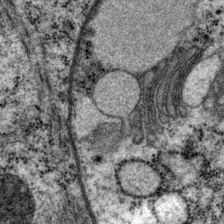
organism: P. pacificus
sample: Pharynx